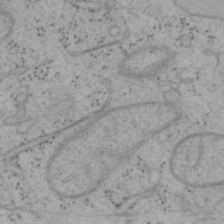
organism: Human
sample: HeLa cells